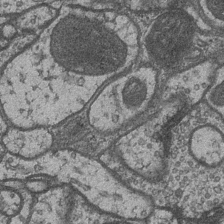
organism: Drosophila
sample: Optic medulla